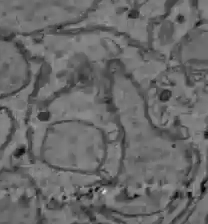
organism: C57BL Mouse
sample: Liver